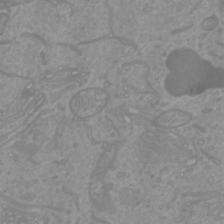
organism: Mouse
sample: Cortical neurons